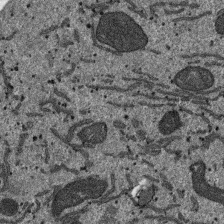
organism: Human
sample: Lung epithelial cells infected with SARS-CoV-2